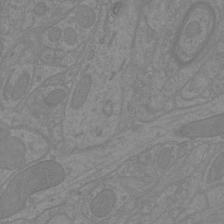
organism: Mouse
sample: Cortical neurons